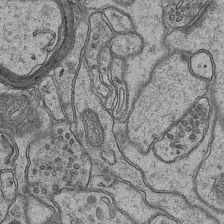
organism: Mouse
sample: CA1 Hippocampus